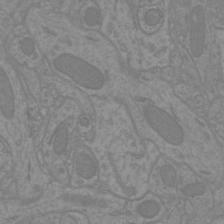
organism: Mouse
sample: Cortical neurons